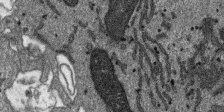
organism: Human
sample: Lung epithelial cells infected with SARS-CoV-2